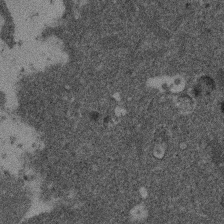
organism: Mouse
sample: Dividing mouse embryo 1 cell stage